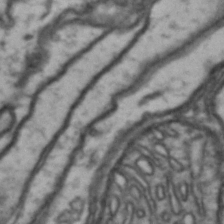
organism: Drosophila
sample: Brain